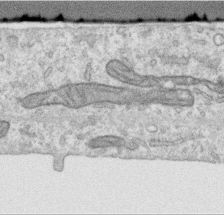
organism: Human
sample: Centriole in RPE cells